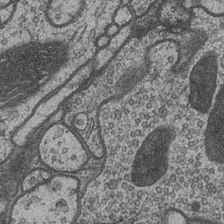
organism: Drosophila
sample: Optic medulla